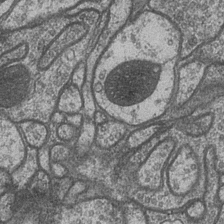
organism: Drosophila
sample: Optic medulla